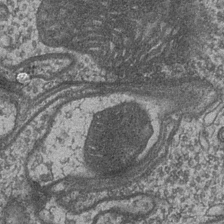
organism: Drosophila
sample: Optic medulla